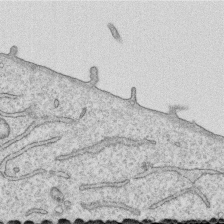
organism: Human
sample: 1205lu cells